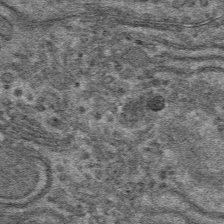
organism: Mouse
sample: Mouse hepatocytes